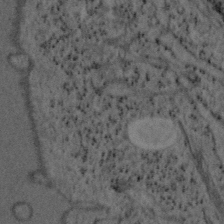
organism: Human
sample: HeLa cells